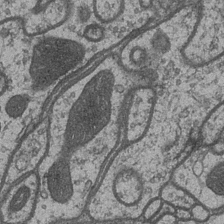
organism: Drosophila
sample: Optic medulla